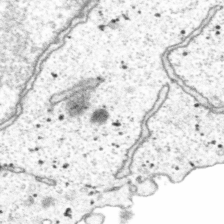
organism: Human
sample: HeLa cells